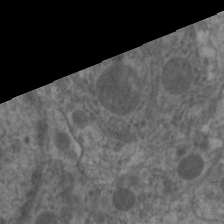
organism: C. elegans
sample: Pharynx